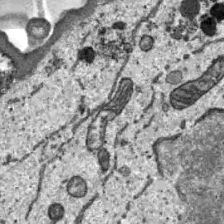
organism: Human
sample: HeLa cells